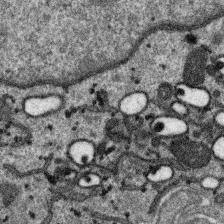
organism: Human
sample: Lung epithelial cells infected with SARS-CoV-2